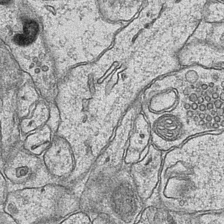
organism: Mouse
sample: CA1 Hippocampus